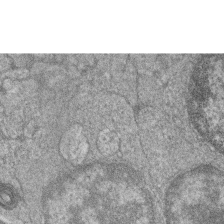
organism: Zebrafish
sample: Cilia; retinal pigment epithelium